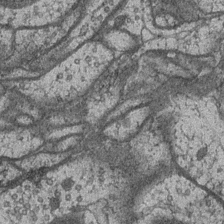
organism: Drosophila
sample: Optic medulla